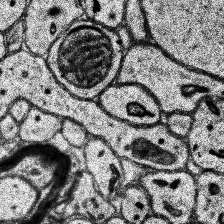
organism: Human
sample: Temporal Lobe